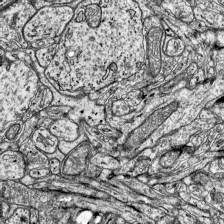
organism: Mouse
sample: Visual Cortex